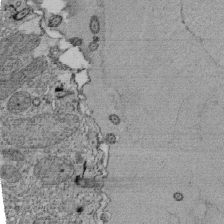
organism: Tetrahymena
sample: Cilia in tetrahymena